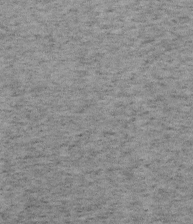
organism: Mouse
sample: OT-I killer T cells with ID8 ovarian cancer cells